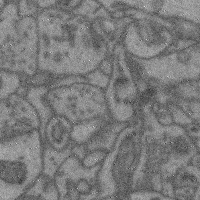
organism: Mouse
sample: Cerebral cortex